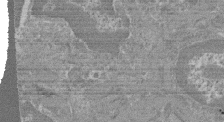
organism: Mouse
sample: Glomerulus